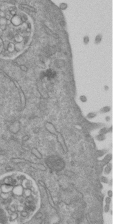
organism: Mouse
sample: ED-1 cell nuclei; centrioles